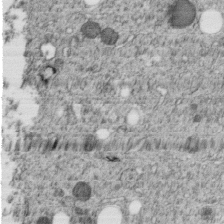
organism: C. elegans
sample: C. elegans embryo early stage